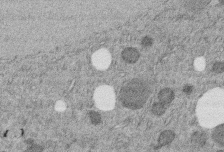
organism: C. elegans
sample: C. elegans embryo early stage